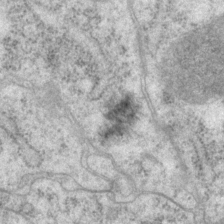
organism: P. pacificus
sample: Pharynx